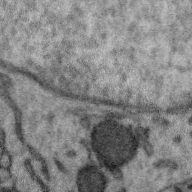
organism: Zebra finch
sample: Brain